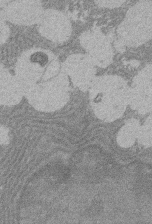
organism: Rat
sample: Salivary granule